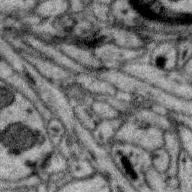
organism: Zebra finch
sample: Brain